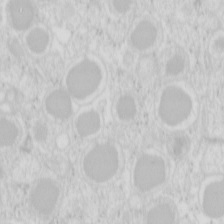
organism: Mouse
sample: Pancreas